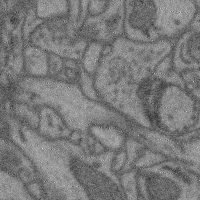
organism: Mouse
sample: Cerebral cortex